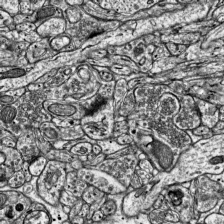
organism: Mouse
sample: Visual Cortex